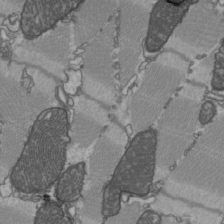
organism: C57BL Mouse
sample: Heart